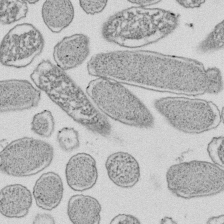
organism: E. coli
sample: Bacterial nucleoid